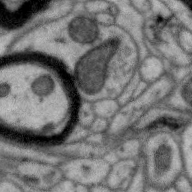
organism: Zebra finch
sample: Brain